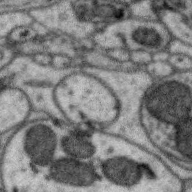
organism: Zebra finch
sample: Brain